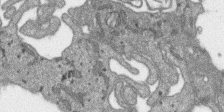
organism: Human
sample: Lung epithelial cells infected with SARS-CoV-2